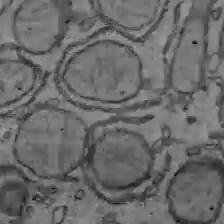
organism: C57BL Mouse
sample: Liver